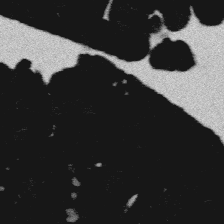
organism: Platynereis dumerilii